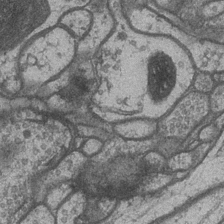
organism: Drosophila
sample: Optic medulla